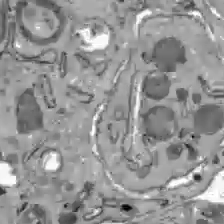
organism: C57BL Mouse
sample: Liver